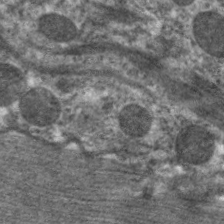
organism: C. elegans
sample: Pharynx